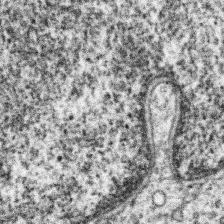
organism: Human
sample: HeLa cells